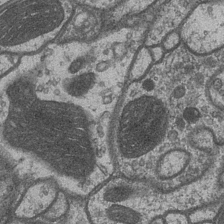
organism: Drosophila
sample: Optic medulla